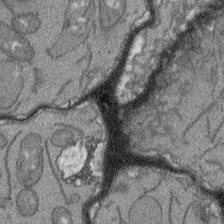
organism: Arabidopsis thaliana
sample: Root tip